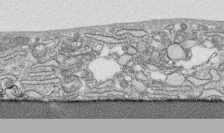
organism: Human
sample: CRL-1474